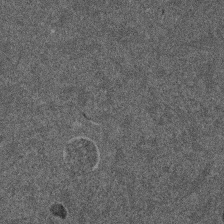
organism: Mouse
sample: Dividing mouse embryo 1 cell stage